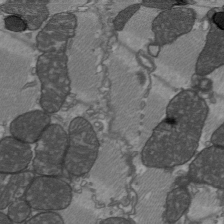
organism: C57BL Mouse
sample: Heart